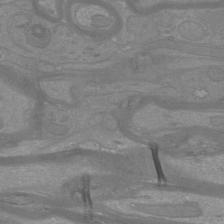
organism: Mouse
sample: Cortical neurons